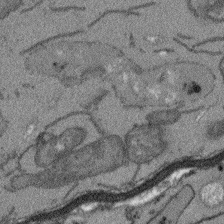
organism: Arabidopsis thaliana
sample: Root tip